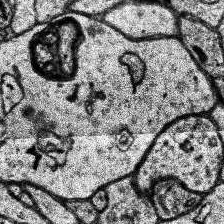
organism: Human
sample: Temporal Lobe